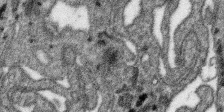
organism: Human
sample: Lung epithelial cells infected with SARS-CoV-2